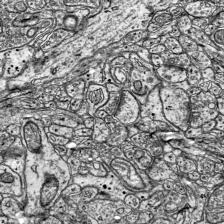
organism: Mouse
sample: Visual Cortex